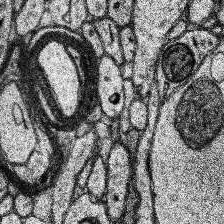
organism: Human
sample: Temporal Lobe